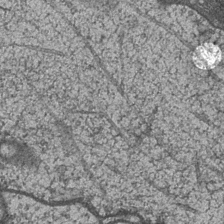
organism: Drosophila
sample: Optic medulla